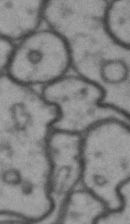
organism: Drosophila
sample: Brain